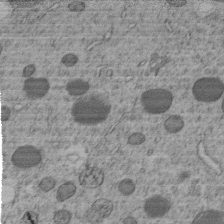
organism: C. elegans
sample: C. elegans embryo early stage